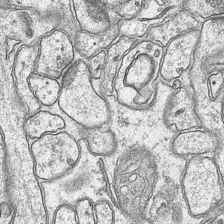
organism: Mouse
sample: CA1 Hippocampus